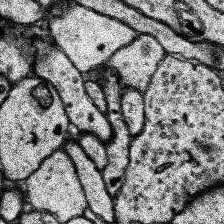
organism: Human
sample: Temporal Lobe